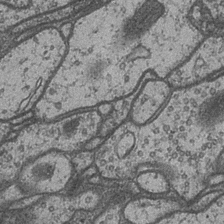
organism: Drosophila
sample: Optic medulla